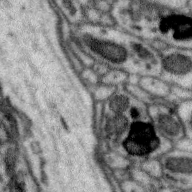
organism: Zebra finch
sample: Brain